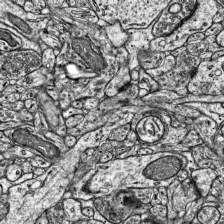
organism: Mouse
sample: Visual Cortex